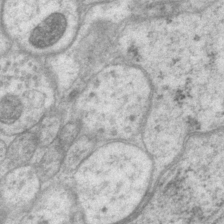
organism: P. pacificus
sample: Pharynx